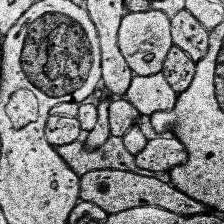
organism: Human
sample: Temporal Lobe